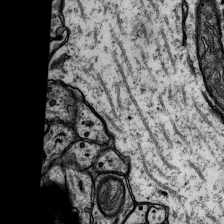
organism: Rat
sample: Hippocampus